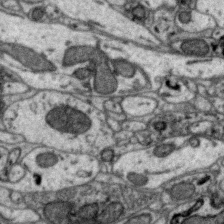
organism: Zebra finch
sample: Brain